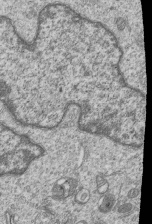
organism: Human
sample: MDA-MB-231 cells